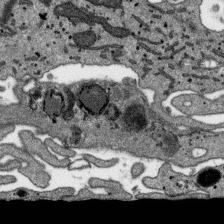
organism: Human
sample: Lung epithelial cells, uninfected (mock) control